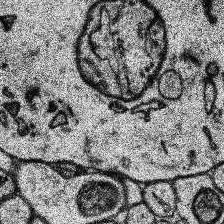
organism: Human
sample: Temporal Lobe